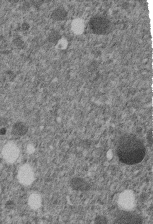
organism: C. elegans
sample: C. elegans embryo early stage